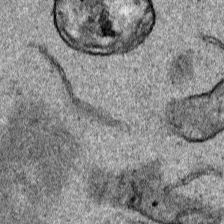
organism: Human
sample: Mitochondria in HCT116 cells